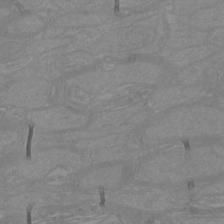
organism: Mouse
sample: Cortical neurons